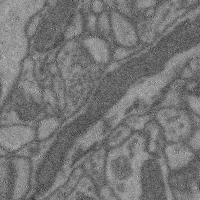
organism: Mouse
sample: Cerebral cortex